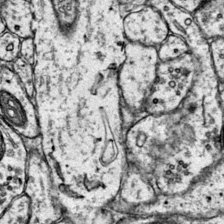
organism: Mouse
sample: Primary visual cortex